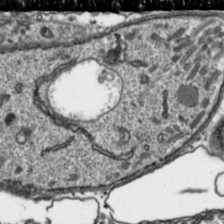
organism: Toxoplasma gondii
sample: Parasites in a vacuole inside a host cell